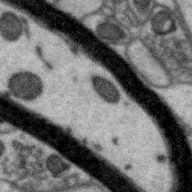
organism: Zebra finch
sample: Brain